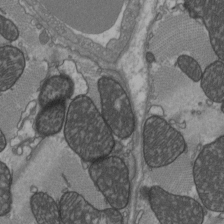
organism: C57BL Mouse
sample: Heart